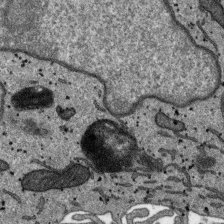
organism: Human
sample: Lung epithelial cells, uninfected (mock) control